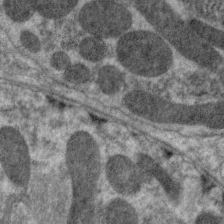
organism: C. elegans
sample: Pharynx